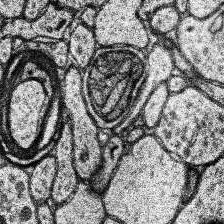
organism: Human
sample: Temporal Lobe